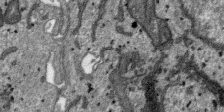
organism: Human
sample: Lung epithelial cells, uninfected (mock) control